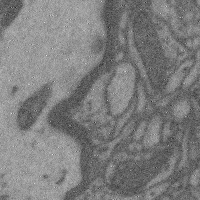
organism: Mouse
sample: Cerebral cortex